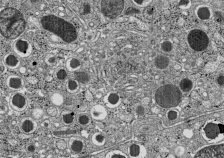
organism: C57BL Mouse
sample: Pancreatic islet